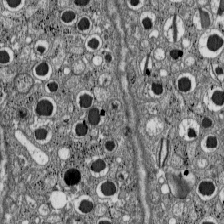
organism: C57BL Mouse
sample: Pancreatic islet